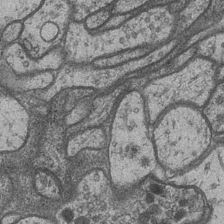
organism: Drosophila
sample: Optic medulla